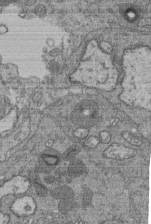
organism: Human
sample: Retinal organoid Rod and Cone cells